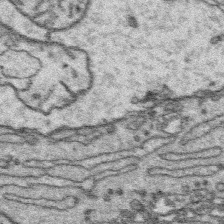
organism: Platynereis dumerilii